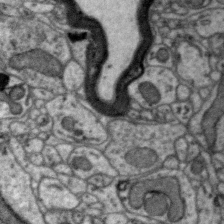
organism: Zebra finch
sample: Brain